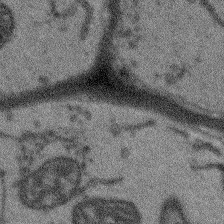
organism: Arabidopsis thaliana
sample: Root tip